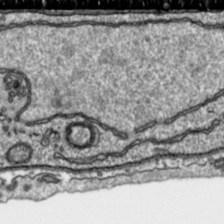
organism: Toxoplasma gondii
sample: Parasites in a vacuole inside a host cell